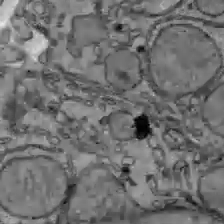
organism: C57BL Mouse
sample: Liver